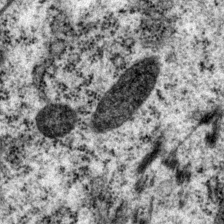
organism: P. pacificus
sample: Pharynx